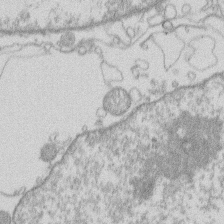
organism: Human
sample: Macrophage cells